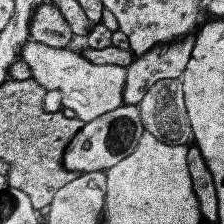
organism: Human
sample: Temporal Lobe